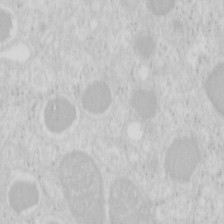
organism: Mouse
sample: Pancreas